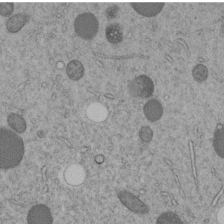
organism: C. elegans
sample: C. elegans embryo early stage